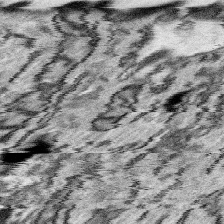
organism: Human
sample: HeLa cells